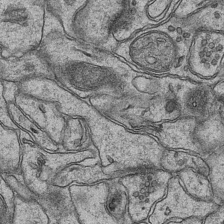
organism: Mouse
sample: CA1 Hippocampus